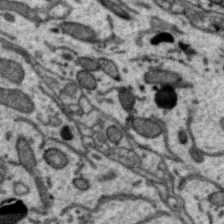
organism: Zebra finch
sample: Brain